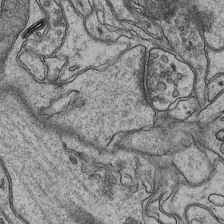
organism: Mouse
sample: CA1 Hippocampus